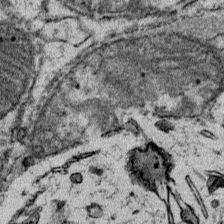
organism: Mouse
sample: Mouse Salivary gland